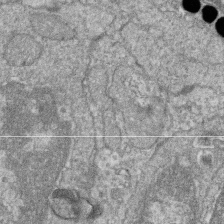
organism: Zebrafish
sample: Cilia; retinal pigment epithelium